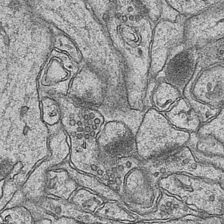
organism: Mouse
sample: CA1 Hippocampus